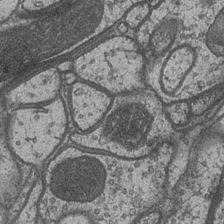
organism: Drosophila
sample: Optic medulla